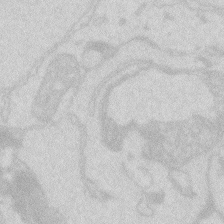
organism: Zebrafish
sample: Macrophage